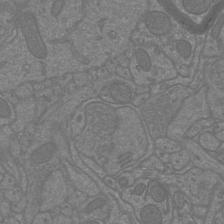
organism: Mouse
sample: Cortical neurons